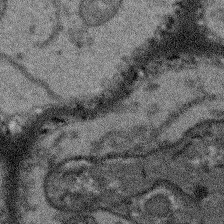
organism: Arabidopsis thaliana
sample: Root tip